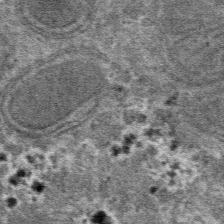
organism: Mouse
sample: Mouse hepatocytes